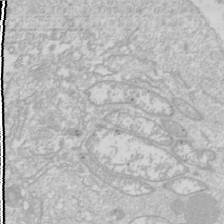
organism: Drosophila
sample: Cell division; meiosis; drosophila spermatocytes